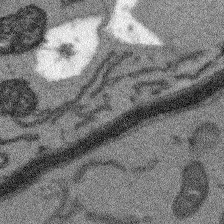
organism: Arabidopsis thaliana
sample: Root tip